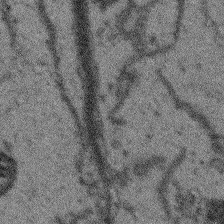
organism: Arabidopsis thaliana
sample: Root tip